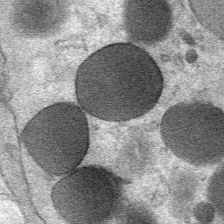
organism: Mouse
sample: Mouse Salivary gland